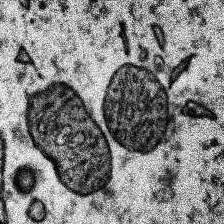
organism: Human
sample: Temporal Lobe